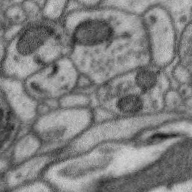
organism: Zebra finch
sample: Brain